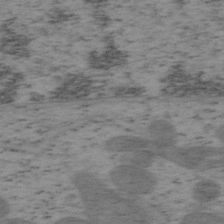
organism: Mouse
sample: OT-I killer T cells with ID8 ovarian cancer cells